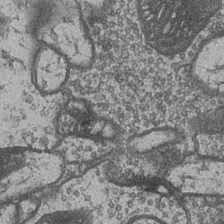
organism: Drosophila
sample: Optic medulla